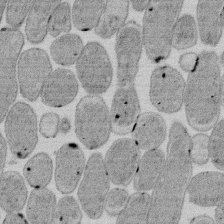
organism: E. coli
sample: Bacterial nucleoid